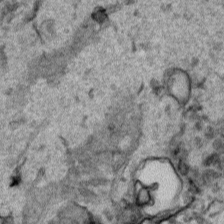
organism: Human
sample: Mitochondria in HCT116 cells